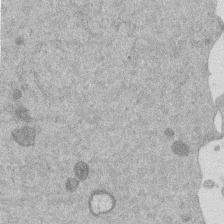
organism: Mouse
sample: Dividing mouse embryo 1 cell stage